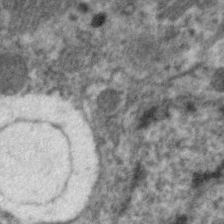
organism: C. elegans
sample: Pharynx